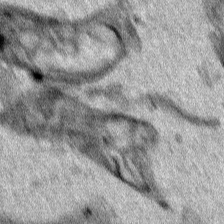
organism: Human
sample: Mitochondria in HCT116 cells